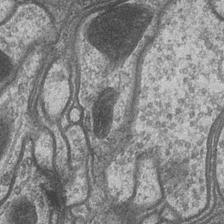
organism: Drosophila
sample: Optic medulla